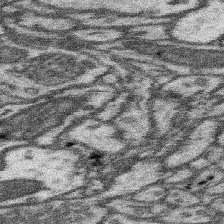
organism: Mouse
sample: Somatosensory cortex neuropil